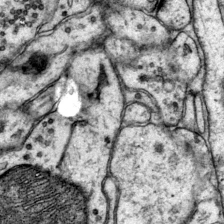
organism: Mouse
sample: Primary visual cortex